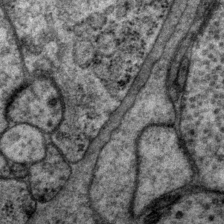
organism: P. pacificus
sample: Pharynx